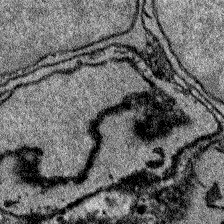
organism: Zebrafish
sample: Larval olfactory bulb